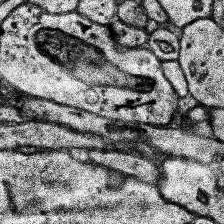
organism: Human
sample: Temporal Lobe